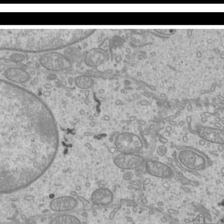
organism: Mouse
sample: Cilia; mouse epididymis